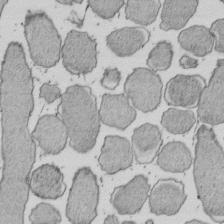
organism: E. coli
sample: Bacterial nucleoid